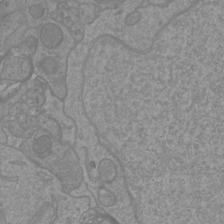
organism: Mouse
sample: Cortical neurons